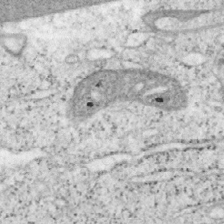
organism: Mouse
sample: OT-I killer T cells with ID8 ovarian cancer cells